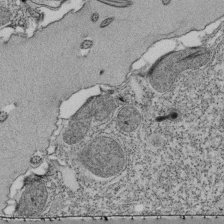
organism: Tetrahymena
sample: Cilia in tetrahymena